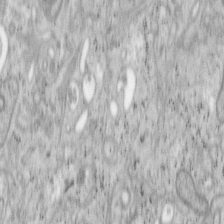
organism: Human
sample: HeLa cells